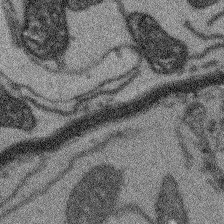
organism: Arabidopsis thaliana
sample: Root tip